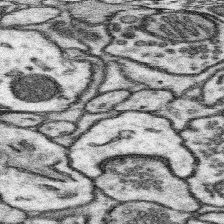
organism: Mouse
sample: Somatosensory cortex neuropil